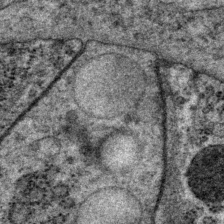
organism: P. pacificus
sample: Pharynx